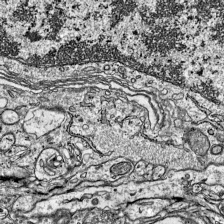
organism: Mouse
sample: Visual Cortex